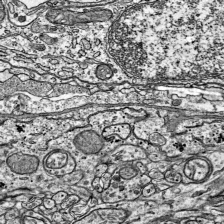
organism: Mouse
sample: Visual Cortex